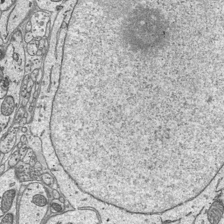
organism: Mouse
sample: Suprachiasmatic nucleus